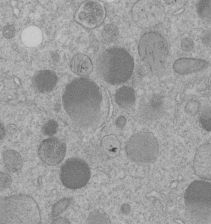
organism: C. elegans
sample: C. elegans embryo early stage